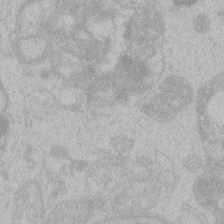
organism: Zebrafish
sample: Macrophage infected with Toxoplasma gondii